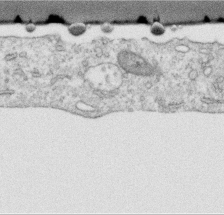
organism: Human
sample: Centriole in RPE cells